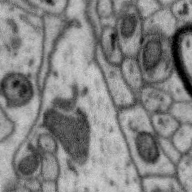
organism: Zebra finch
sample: Brain